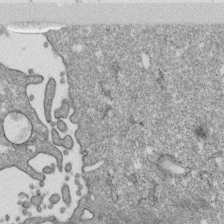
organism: African green monkey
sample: Vero E6 cells infected with SARS-CoV-2